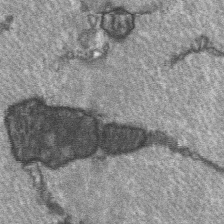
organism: C57BL Mouse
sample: Soleus